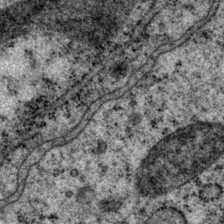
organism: P. pacificus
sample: Pharynx